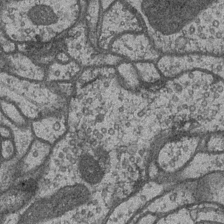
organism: Drosophila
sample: Optic medulla